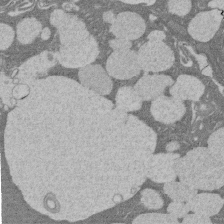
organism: Rat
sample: Salivary granule